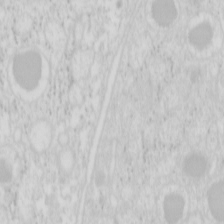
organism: Mouse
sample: Pancreas